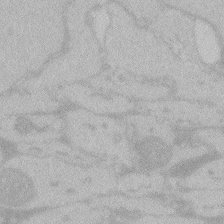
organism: Zebrafish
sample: Macrophage infected with Toxoplasma gondii